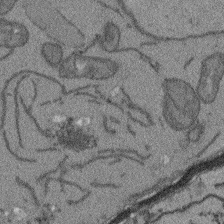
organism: Arabidopsis thaliana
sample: Root tip